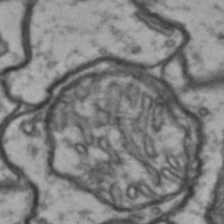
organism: Drosophila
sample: Brain